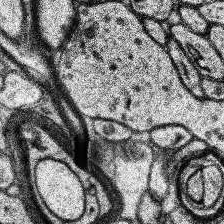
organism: Human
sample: Temporal Lobe